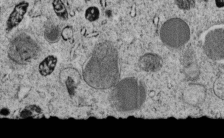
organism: C. elegans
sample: C. elegans embryo early stage